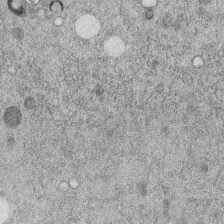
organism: C. elegans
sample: C. elegans embryo early stage